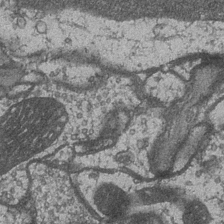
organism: Drosophila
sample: Optic medulla